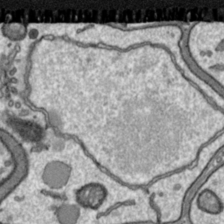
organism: Toxoplasma gondii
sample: Parasites in a vacuole inside a host cell